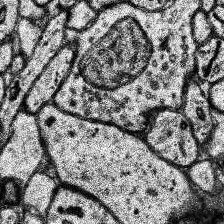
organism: Human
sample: Temporal Lobe